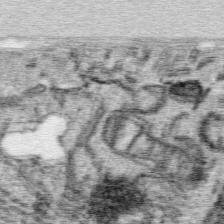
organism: Human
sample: HeLa cells